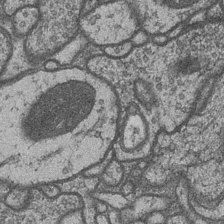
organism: Drosophila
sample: Optic medulla